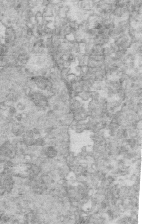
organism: Mouse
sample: Multiciliated cells